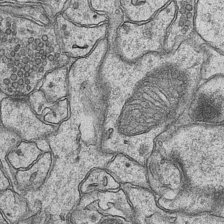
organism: Mouse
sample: CA1 Hippocampus